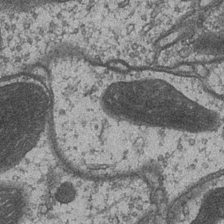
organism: Drosophila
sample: Optic medulla